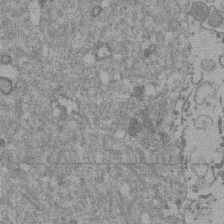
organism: Mouse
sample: Dividing mouse embryo 1 cell stage